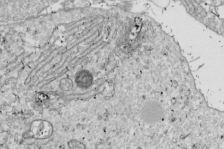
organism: Drosophila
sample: Cell division; meiosis; drosophila spermatocytes